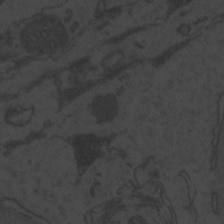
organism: Zebrafish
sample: Macrophage infected with Toxoplasma gondii